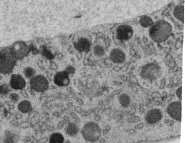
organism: C. elegans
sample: C. elegans oocyte; sperm cells